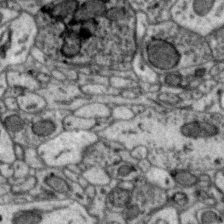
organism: Zebra finch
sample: Brain